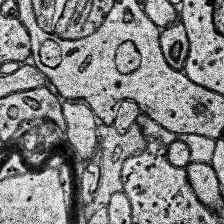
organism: Human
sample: Temporal Lobe